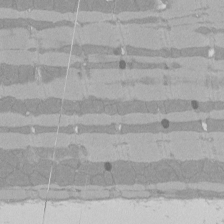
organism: Rat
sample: Left ventricle